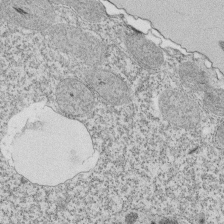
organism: Tetrahymena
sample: Cilia in tetrahymena